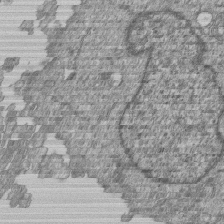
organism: Human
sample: MDA-MB-231 cells